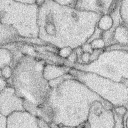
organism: Rabbit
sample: Retina